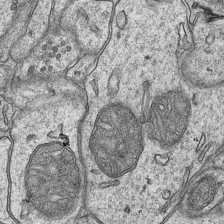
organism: Mouse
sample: CA1 Hippocampus